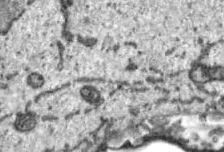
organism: Human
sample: HeLa cells